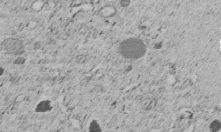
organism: C. elegans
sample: C. elegans embryo early stage